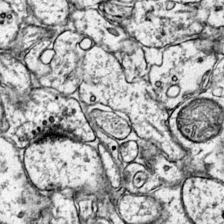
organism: Mouse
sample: Primary visual cortex